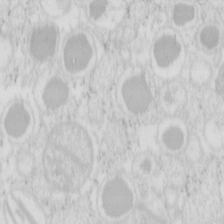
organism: Mouse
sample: Pancreas